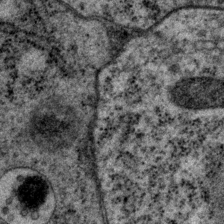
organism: P. pacificus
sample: Pharynx